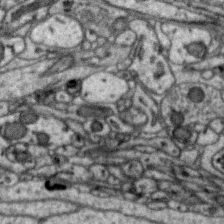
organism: Zebra finch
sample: Brain